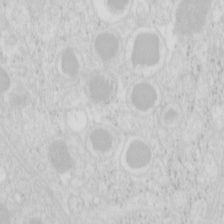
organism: Mouse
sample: Pancreas